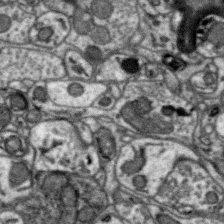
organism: Zebra finch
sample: Brain